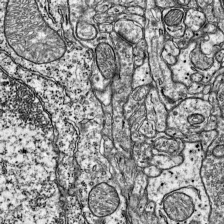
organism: Mouse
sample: Visual Cortex